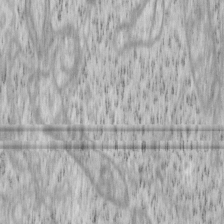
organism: Human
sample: HeLa cells